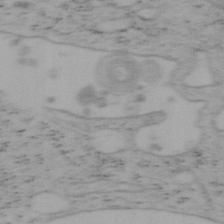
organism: Mouse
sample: OT-I killer T cells with ID8 ovarian cancer cells